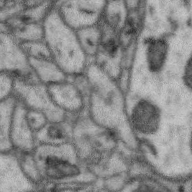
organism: Zebra finch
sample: Brain